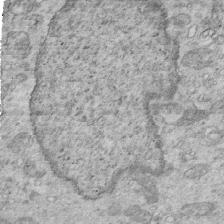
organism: Mouse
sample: Multiciliated cells